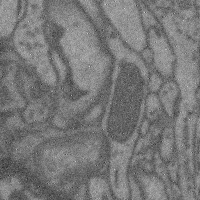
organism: Mouse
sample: Cerebral cortex